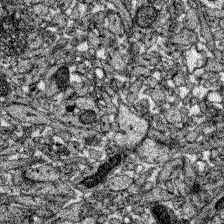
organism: Zebrafish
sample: Larval olfactory bulb